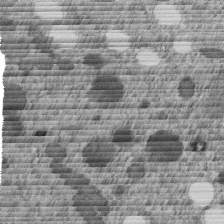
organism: C. elegans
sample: C. elegans embryo early stage